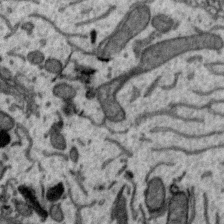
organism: Zebra finch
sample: Brain